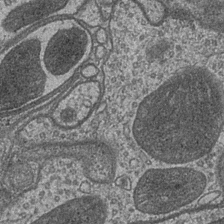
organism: Drosophila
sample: Optic medulla